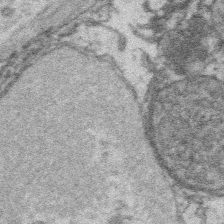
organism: Platynereis dumerilii